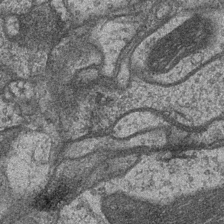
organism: Drosophila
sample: Optic medulla